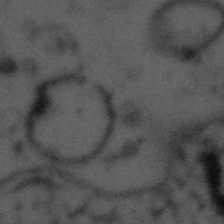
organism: Tuwongella immobilis